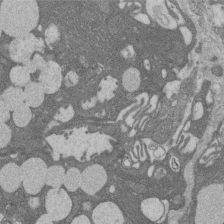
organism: Rat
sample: Salivary granule